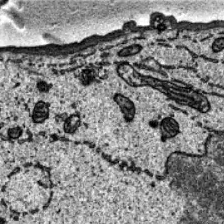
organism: Human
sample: HeLa cells